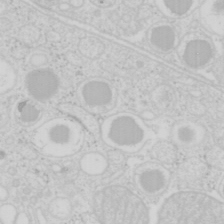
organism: Mouse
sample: Pancreas